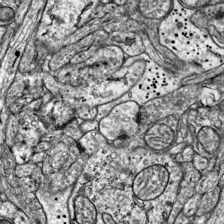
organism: Mouse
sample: Visual Cortex